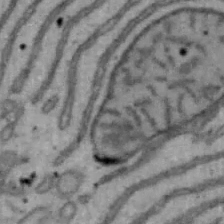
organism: Mouse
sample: Liver